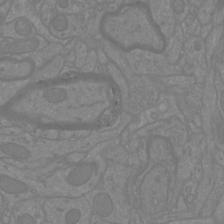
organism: Mouse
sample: Cortical neurons